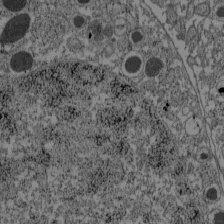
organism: C57BL Mouse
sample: Pancreatic islet